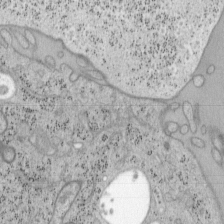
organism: Mouse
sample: OT-I killer T cells with ID8 ovarian cancer cells